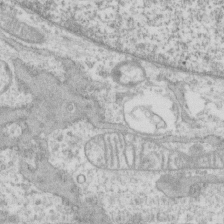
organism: Human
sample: CRL-1474